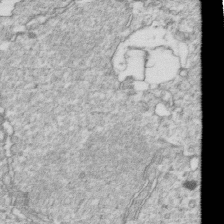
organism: Mouse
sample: Activated OT-1 CD8+ T cells